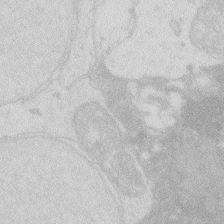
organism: Zebrafish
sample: Macrophage